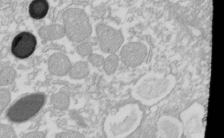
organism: Xenopus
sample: Cilia; centrioles in frog embryo cells